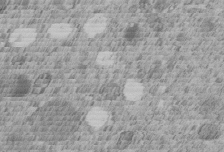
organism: C. elegans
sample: C. elegans embryo early stage